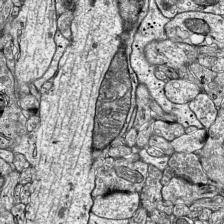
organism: Mouse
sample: Visual Cortex